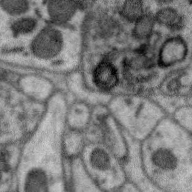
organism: Zebra finch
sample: Brain